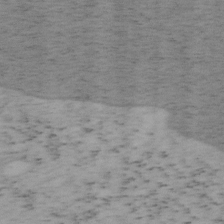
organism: Mouse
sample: OT-I killer T cells with ID8 ovarian cancer cells